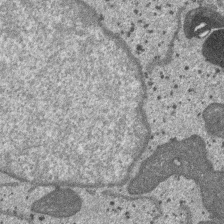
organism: Human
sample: Lung epithelial cells infected with SARS-CoV-2